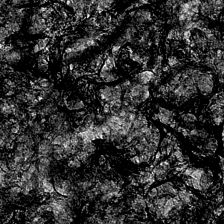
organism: Mouse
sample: CA1 Hippocampus